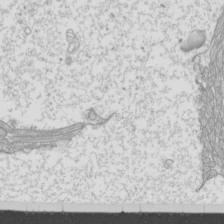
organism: Mouse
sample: Cilia; mouse epididymis